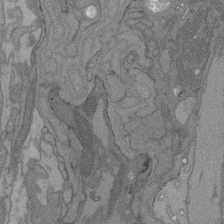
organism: C. elegans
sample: AFD neurons C. elegans